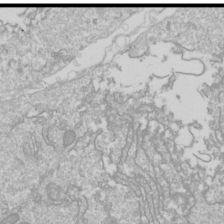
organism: Drosophila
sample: Cell division; meiosis; drosophila spermatocytes